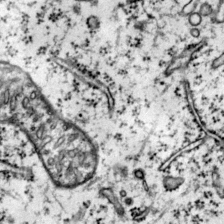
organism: Mouse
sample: Primary visual cortex